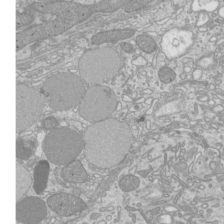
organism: Mouse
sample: Cilia; mouse epididymis